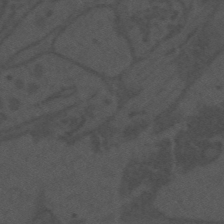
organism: Mouse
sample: Suprachiasmatic nucleus